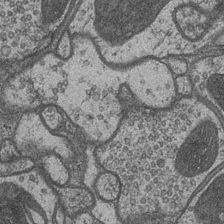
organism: Drosophila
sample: Optic medulla